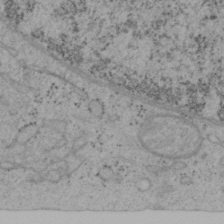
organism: Human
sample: HeLa cells